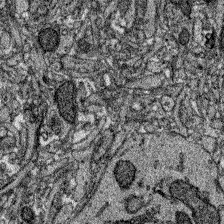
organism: Zebrafish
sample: Larval olfactory bulb